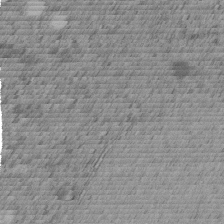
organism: C. elegans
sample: C. elegans embryo early stage